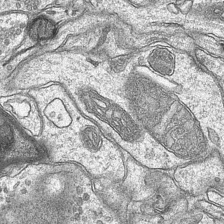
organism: Mouse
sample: CA1 Hippocampus